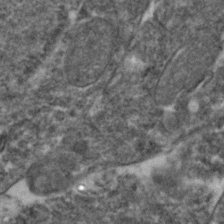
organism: Zebrafish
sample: Zebrafish embryo